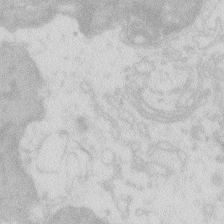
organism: Zebrafish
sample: Macrophage